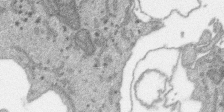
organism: Human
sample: Lung epithelial cells infected with SARS-CoV-2